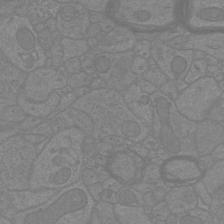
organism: Mouse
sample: Cortical neurons